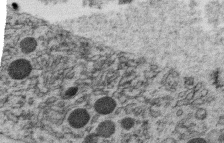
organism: C. elegans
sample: C. elegans oocyte; sperm cells